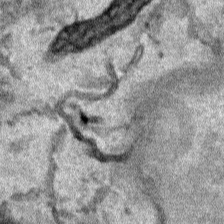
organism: Human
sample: Mitochondria in HCT116 cells